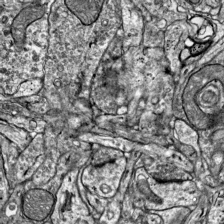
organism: Mouse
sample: Visual Cortex